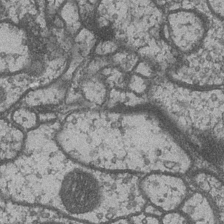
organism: Drosophila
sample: Optic medulla